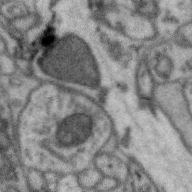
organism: Zebra finch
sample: Brain